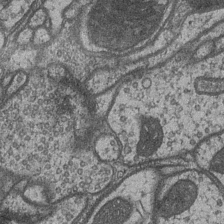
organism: Drosophila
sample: Optic medulla